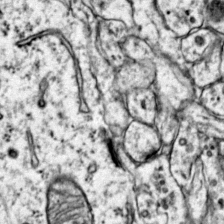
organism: Mouse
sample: Primary visual cortex